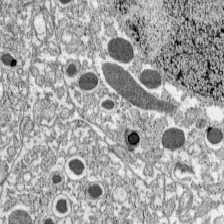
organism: C57BL Mouse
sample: Pancreatic islet